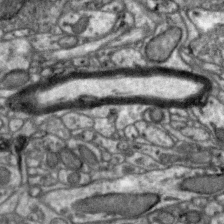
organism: Zebra finch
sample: Brain